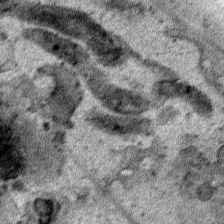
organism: Human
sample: Mitochondria in HCT116 cells